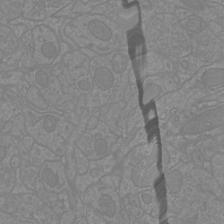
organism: Mouse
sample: Cortical neurons